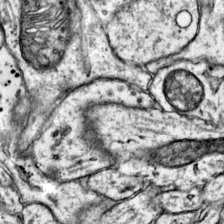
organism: Mouse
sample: Primary visual cortex